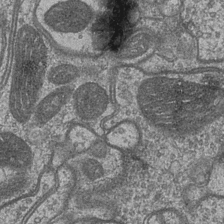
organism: Drosophila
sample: Optic medulla